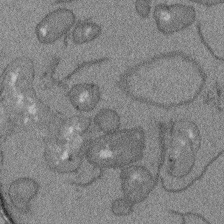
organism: Arabidopsis thaliana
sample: Root tip